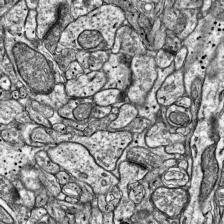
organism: Mouse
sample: Visual Cortex